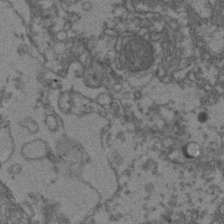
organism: Zebrafish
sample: Zebrafish embryo